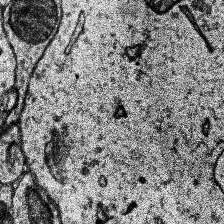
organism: Human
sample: Temporal Lobe